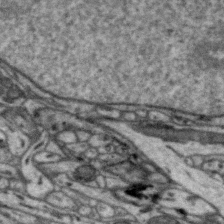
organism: Zebra finch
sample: Brain